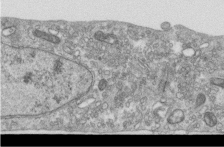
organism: Human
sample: Centriole in RPE cells